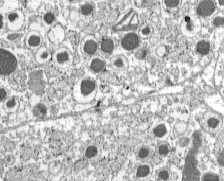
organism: C57BL Mouse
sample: Pancreatic islet